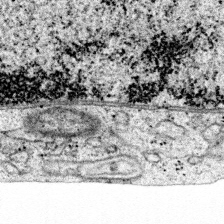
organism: Human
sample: HeLa cells